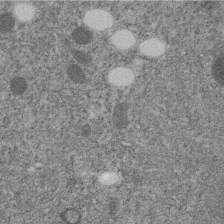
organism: C. elegans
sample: C. elegans embryo early stage